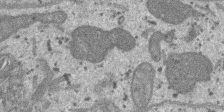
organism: Human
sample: Lung epithelial cells infected with SARS-CoV-2